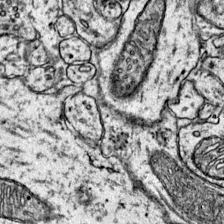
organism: Mouse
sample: Primary visual cortex